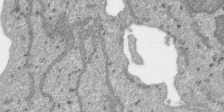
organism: Human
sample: Lung epithelial cells infected with SARS-CoV-2